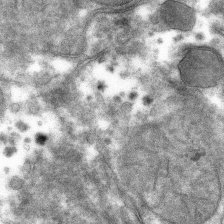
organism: Mouse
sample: Mouse hepatocytes